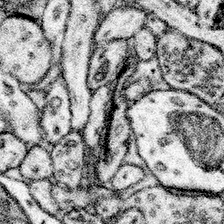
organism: Mouse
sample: Somatosensory cortex neuropil